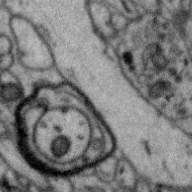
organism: Zebra finch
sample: Brain